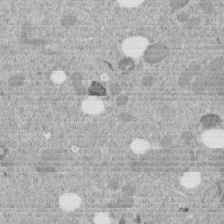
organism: C. elegans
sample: C. elegans embryo early stage